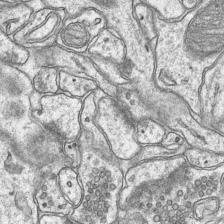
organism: Mouse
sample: CA1 Hippocampus